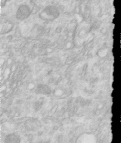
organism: Human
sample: Centriole in RPE cells